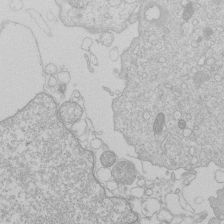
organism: Human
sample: Macrophage cells